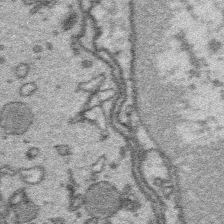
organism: Platynereis dumerilii